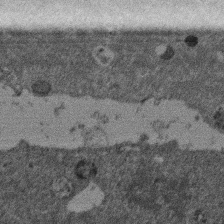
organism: Mouse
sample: Dividing mouse embryo 1 cell stage